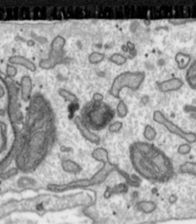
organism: Toxoplasma gondii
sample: Parasites in a vacuole inside a host cell